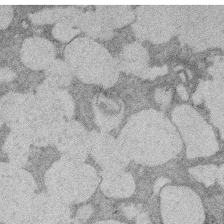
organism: Rat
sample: Salivary granule